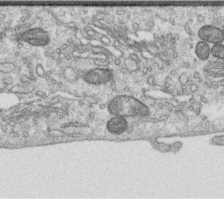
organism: Human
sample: Centriole in RPE cells